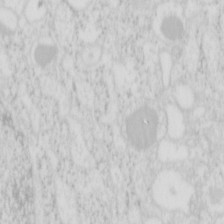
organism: Mouse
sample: Pancreas